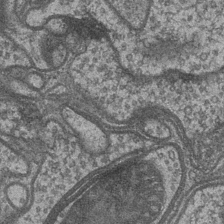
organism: Drosophila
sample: Optic medulla